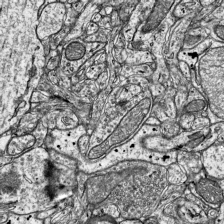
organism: Mouse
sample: Visual Cortex